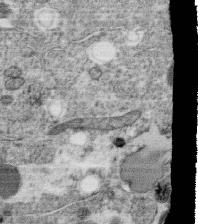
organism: C. elegans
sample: C. elegans oocyte; sperm cells